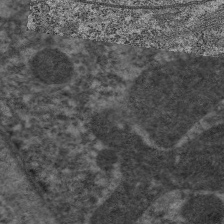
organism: C. elegans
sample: Pharynx